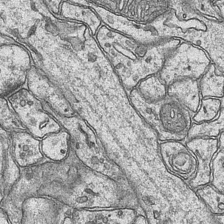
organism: Mouse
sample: CA1 Hippocampus